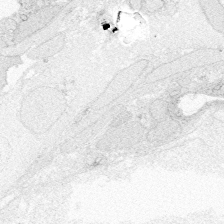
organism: Zebrafish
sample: Whole-Brain